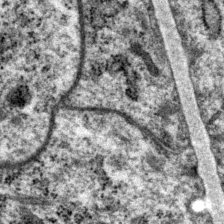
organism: P. pacificus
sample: Pharynx